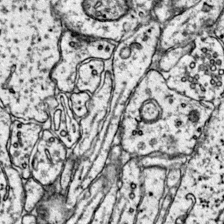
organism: Mouse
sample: Primary visual cortex